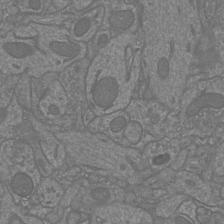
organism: Mouse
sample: Cortical neurons